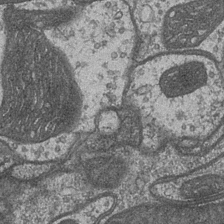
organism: Drosophila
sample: Optic medulla